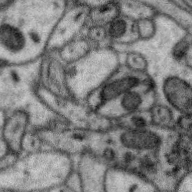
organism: Zebra finch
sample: Brain